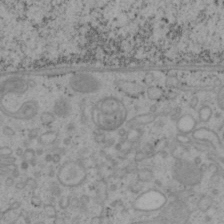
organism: Human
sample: HeLa cells